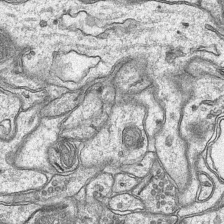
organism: Mouse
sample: CA1 Hippocampus